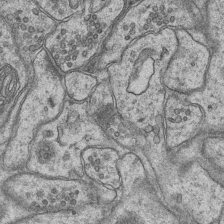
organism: Mouse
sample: CA1 Hippocampus